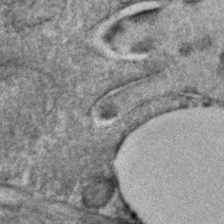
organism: C. elegans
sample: C. elegans embryo